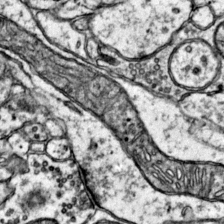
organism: Mouse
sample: Primary visual cortex